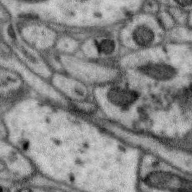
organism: Zebra finch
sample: Brain